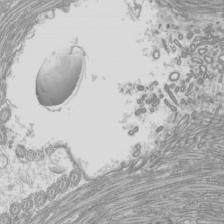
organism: Mouse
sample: Cilia; mouse epididymis